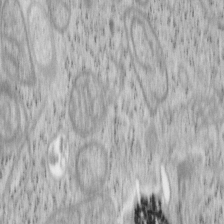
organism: Human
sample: HeLa cells